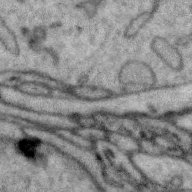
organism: Zebra finch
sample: Brain